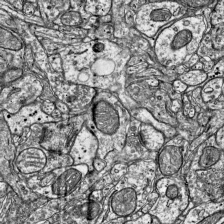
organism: Mouse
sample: Visual Cortex